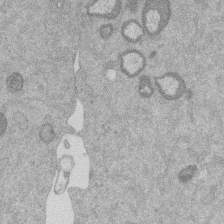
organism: Mouse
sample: Dividing mouse embryo 1 cell stage